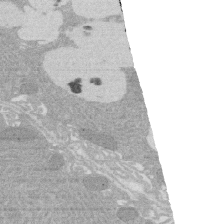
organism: Rat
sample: Salivary granule